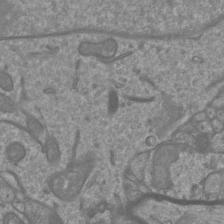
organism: Mouse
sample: Cortical neurons